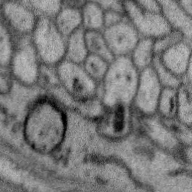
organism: Zebra finch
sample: Brain